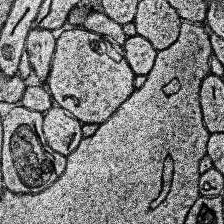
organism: Human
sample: Temporal Lobe